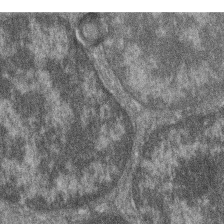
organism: Zebrafish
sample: Cilia; retinal pigment epithelium